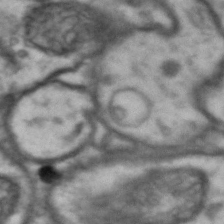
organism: Drosophila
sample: Brain